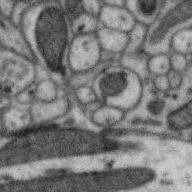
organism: Zebra finch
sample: Brain